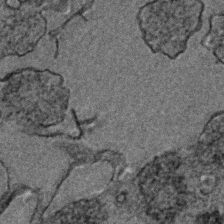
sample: Trachea